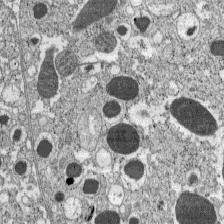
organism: C57BL Mouse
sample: Pancreatic islet